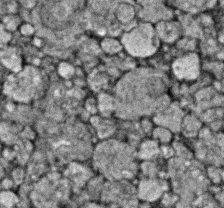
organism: Zebrafish